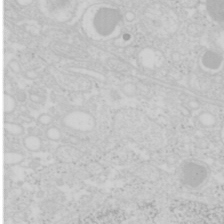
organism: Mouse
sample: Pancreas